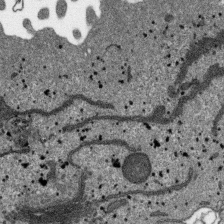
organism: Human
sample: Lung epithelial cells, uninfected (mock) control